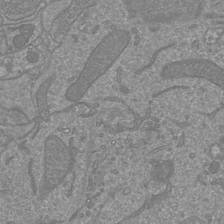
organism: Mouse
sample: Cortical neurons